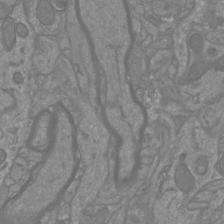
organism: Mouse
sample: Cortical neurons